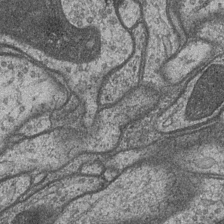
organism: Drosophila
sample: Optic medulla